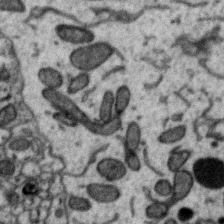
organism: Zebra finch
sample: Brain